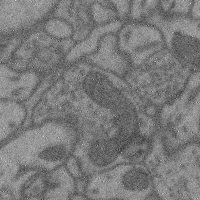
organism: Mouse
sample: Cerebral cortex